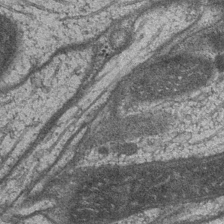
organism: Drosophila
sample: Optic medulla